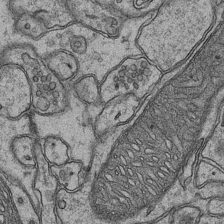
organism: Mouse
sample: CA1 Hippocampus